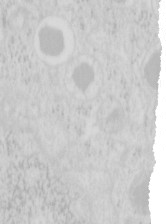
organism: Mouse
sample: Pancreas